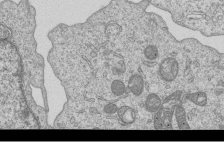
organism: Human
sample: MDA-MB-231 cells